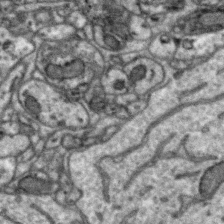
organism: Zebra finch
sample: Brain